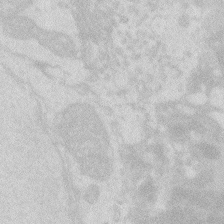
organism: Zebrafish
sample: Macrophage